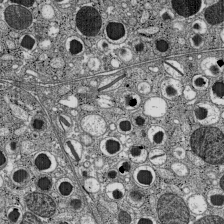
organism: C57BL Mouse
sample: Pancreatic islet